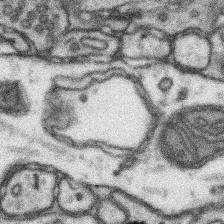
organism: Mouse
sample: Somatosensory cortex neuropil